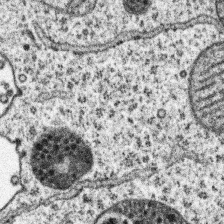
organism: Human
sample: HeLa cells